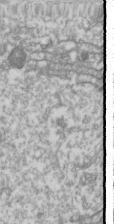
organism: Drosophila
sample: Cell division; meiosis; drosophila spermatocytes